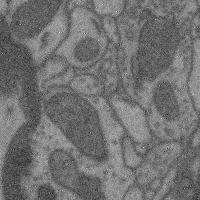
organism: Mouse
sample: Cerebral cortex